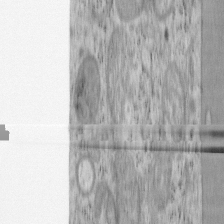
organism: Human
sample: HeLa cells